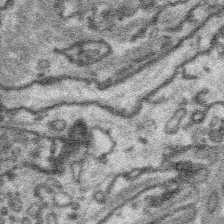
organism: Platynereis dumerilii